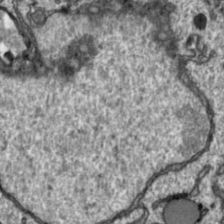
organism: Toxoplasma gondii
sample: Parasites in a vacuole inside a host cell